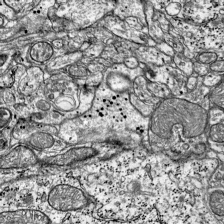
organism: Mouse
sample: Visual Cortex